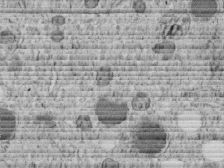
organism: C. elegans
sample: C. elegans embryo early stage